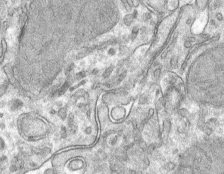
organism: Mouse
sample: Mouse hepatocytes